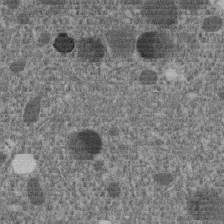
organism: C. elegans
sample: C. elegans embryo early stage